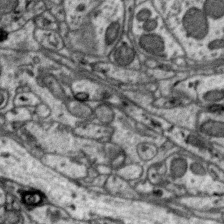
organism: Zebra finch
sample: Brain